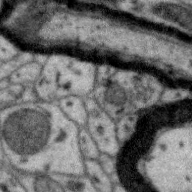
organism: Zebra finch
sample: Brain